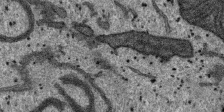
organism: Human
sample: Lung epithelial cells, uninfected (mock) control